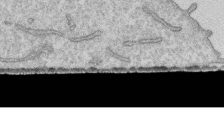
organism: Human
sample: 1205lu cells